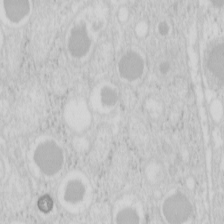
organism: Mouse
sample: Pancreas